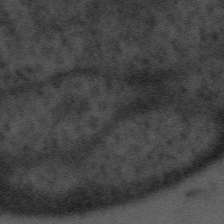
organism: Tuwongella immobilis